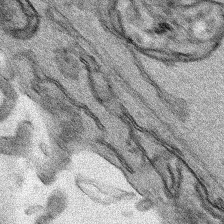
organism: Human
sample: Mitochondria in HCT116 cells